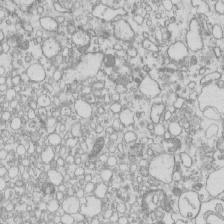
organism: Mouse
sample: Macrophages